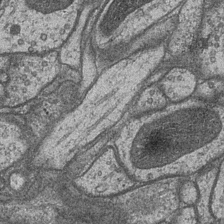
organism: Drosophila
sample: Optic medulla